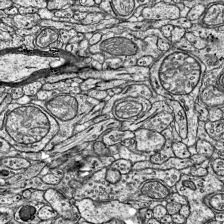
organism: Mouse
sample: Visual Cortex